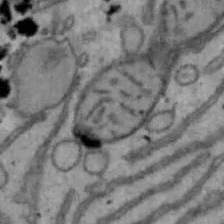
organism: Mouse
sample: Liver